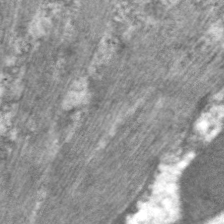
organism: C. elegans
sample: Pharynx